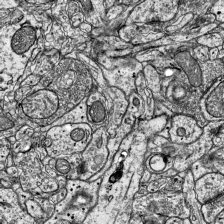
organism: Mouse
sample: Visual Cortex